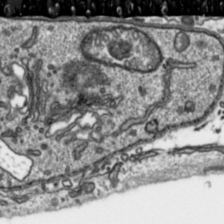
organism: Toxoplasma gondii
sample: Parasites in a vacuole inside a host cell